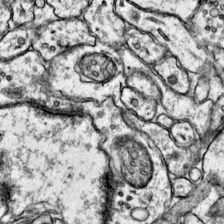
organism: Mouse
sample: Primary visual cortex